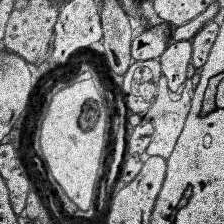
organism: Human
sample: Temporal Lobe